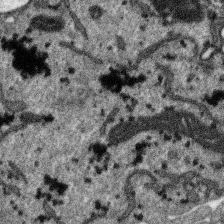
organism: Human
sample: Lung epithelial cells infected with SARS-CoV-2